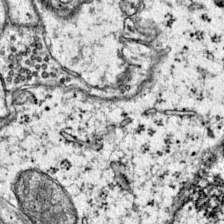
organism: Mouse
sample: Primary visual cortex